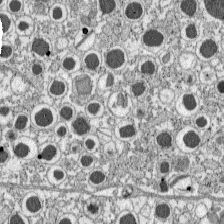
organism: C57BL Mouse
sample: Pancreatic islet